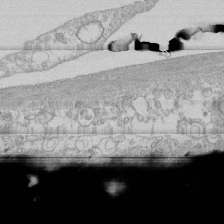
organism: Human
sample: CRL-1474